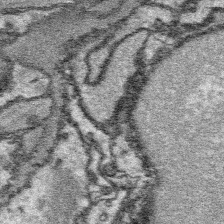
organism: Platynereis dumerilii